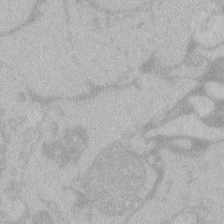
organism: Zebrafish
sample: Macrophage infected with Toxoplasma gondii